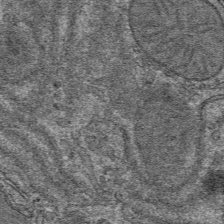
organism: Mouse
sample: Mouse hepatocytes